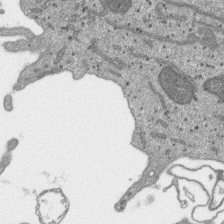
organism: Human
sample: Lung epithelial cells infected with SARS-CoV-2